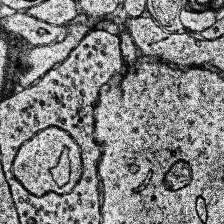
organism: Human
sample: Temporal Lobe